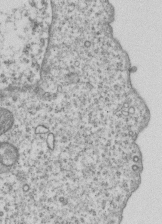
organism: Human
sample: MDA-MB-231 cells